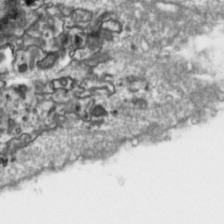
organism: Toxoplasma gondii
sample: Parasites in a vacuole inside a host cell